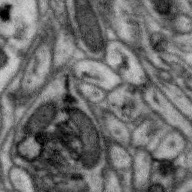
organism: Zebra finch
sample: Brain